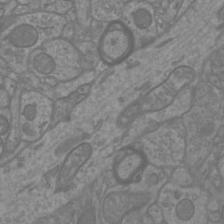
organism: Mouse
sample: Cortical neurons